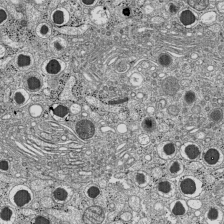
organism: C57BL Mouse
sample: Pancreatic islet